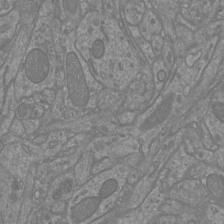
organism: Mouse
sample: Cortical neurons